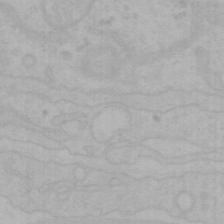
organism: Mouse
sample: Choroid plexus